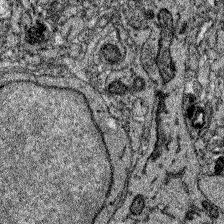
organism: Zebrafish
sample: Larval olfactory bulb